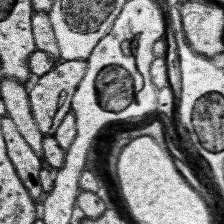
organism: Human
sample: Temporal Lobe